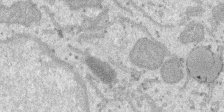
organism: Human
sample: Lung epithelial cells infected with SARS-CoV-2